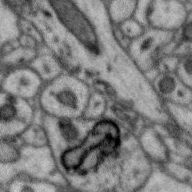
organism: Zebra finch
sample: Brain